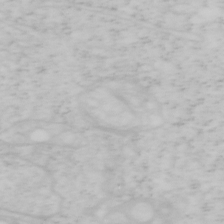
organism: Mouse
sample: OT-I killer T cells with ID8 ovarian cancer cells